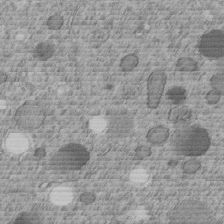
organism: C. elegans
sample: C. elegans embryo early stage